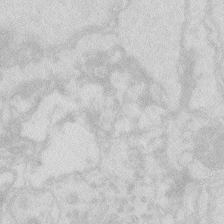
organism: Zebrafish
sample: Macrophage